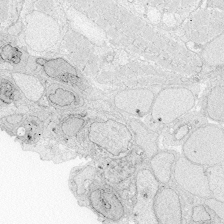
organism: Zebrafish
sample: Whole-Brain